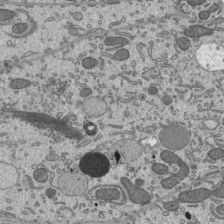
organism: Mouse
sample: Mouse epididymis efferent ductule cilia